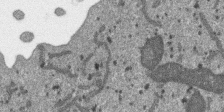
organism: Human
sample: Lung epithelial cells infected with SARS-CoV-2